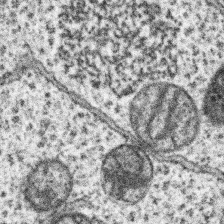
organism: Human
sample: HeLa cells